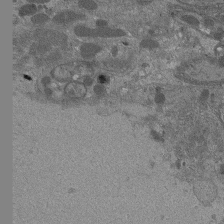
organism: Drosophila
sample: Antenna